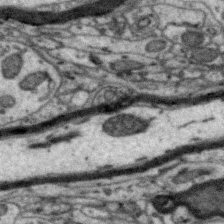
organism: Zebra finch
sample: Brain